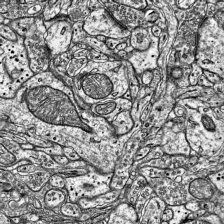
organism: Mouse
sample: Visual Cortex